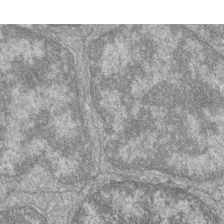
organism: Zebrafish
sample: Cilia; retinal pigment epithelium